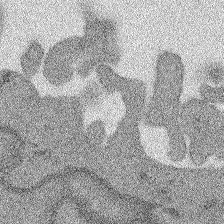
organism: Human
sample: HeLa cells